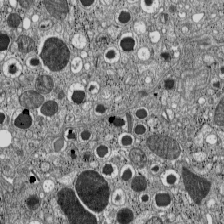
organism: C57BL Mouse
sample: Pancreatic islet